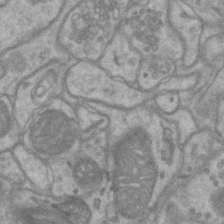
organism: Mouse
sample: CA1 Hippocampus